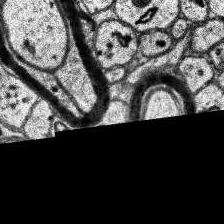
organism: Human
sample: Temporal Lobe